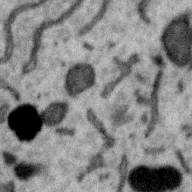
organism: Zebra finch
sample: Brain